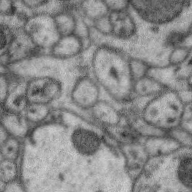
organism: Zebra finch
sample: Brain